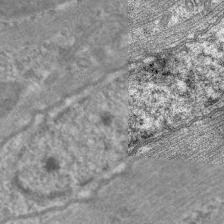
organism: C. elegans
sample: Pharynx